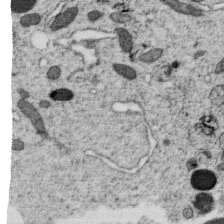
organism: C. elegans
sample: C. elegans oocyte; sperm cells